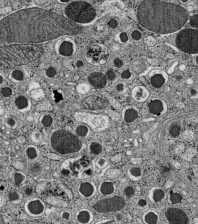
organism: C57BL Mouse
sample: Pancreatic islet